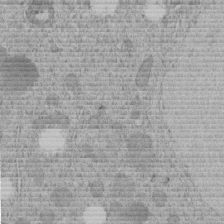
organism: C. elegans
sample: C. elegans embryo early stage